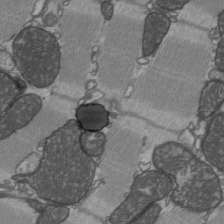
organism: C57BL Mouse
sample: Heart